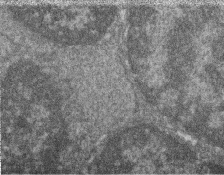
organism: Zebrafish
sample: Cilia; retinal pigment epithelium